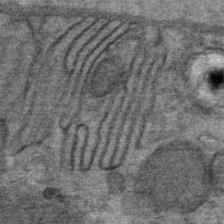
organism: Mouse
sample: Mouse Salivary gland